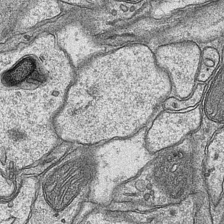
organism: Mouse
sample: CA1 Hippocampus